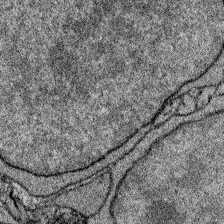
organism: Zebrafish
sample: Larval olfactory bulb